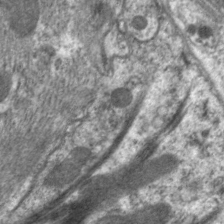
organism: C. elegans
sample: Pharynx